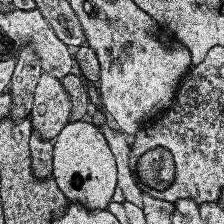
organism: Human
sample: Temporal Lobe